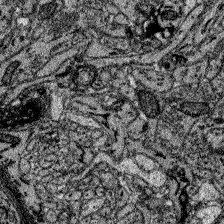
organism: Zebrafish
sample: Larval olfactory bulb